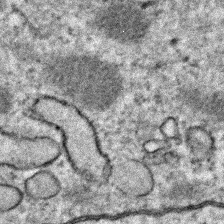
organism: Zebrafish